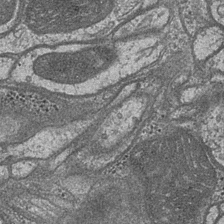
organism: Drosophila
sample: Optic medulla